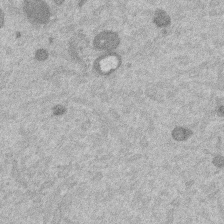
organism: Mouse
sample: Dividing mouse embryo 1 cell stage